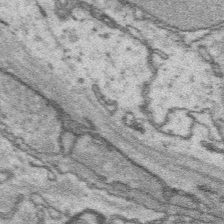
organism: Platynereis dumerilii